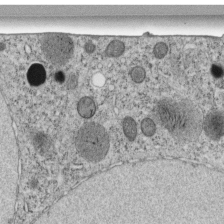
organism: C. elegans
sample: C. elegans embryo early stage